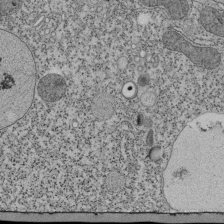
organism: Tetrahymena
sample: Cilia in tetrahymena